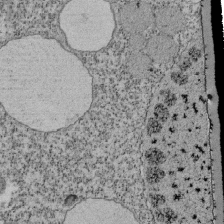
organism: Tetrahymena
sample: Cilia in tetrahymena